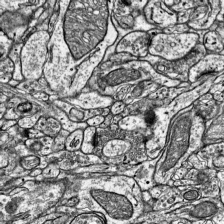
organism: Mouse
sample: Visual Cortex